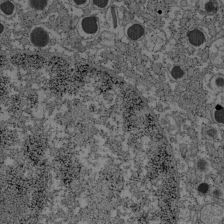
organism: C57BL Mouse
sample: Pancreatic islet